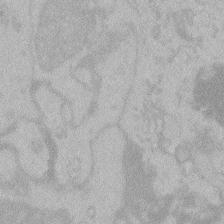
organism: Zebrafish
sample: Macrophage infected with Toxoplasma gondii